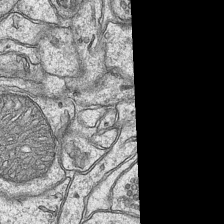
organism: Mouse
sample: CA1 Hippocampus